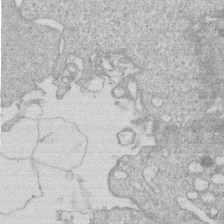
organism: Human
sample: Macrophage cells